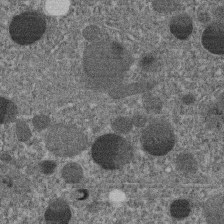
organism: C. elegans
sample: C. elegans embryo early stage